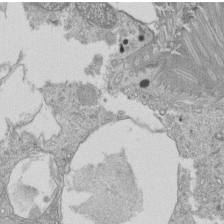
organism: Tetrahymena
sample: Cilia in tetrahymena